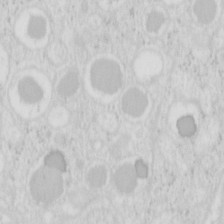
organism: Mouse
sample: Pancreas